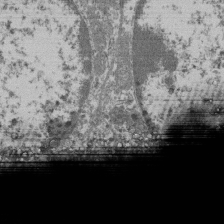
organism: Mouse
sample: Glomerulus